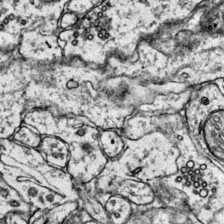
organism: Mouse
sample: Primary visual cortex